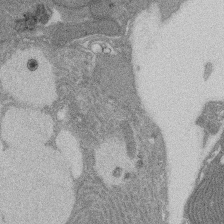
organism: Rat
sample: Salivary granule